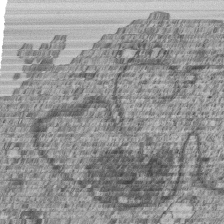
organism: Human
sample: MDA-MB-231 cells